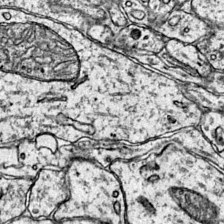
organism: Mouse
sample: Primary visual cortex